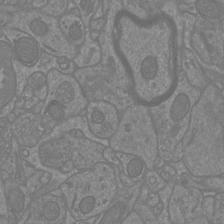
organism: Mouse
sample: Cortical neurons